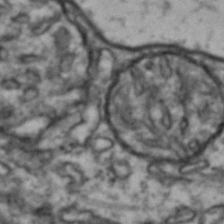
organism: Drosophila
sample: Brain